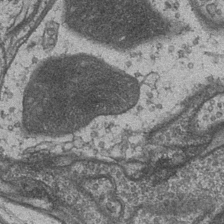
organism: Drosophila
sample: Optic medulla